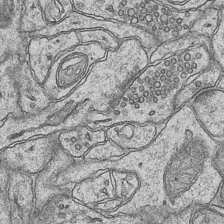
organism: Mouse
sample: CA1 Hippocampus